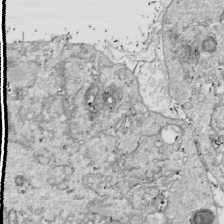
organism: Drosophila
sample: Cell division; meiosis; drosophila spermatocytes